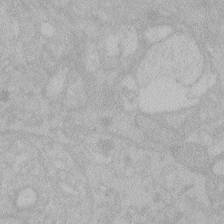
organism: Zebrafish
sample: Macrophage infected with Toxoplasma gondii